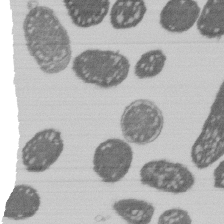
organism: E. coli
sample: Bacterial nucleoid